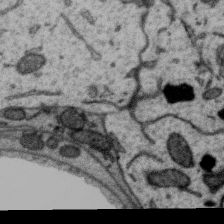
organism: Zebra finch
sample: Brain